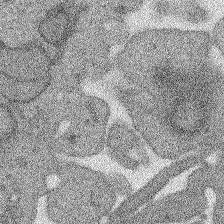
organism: Human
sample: HeLa cells